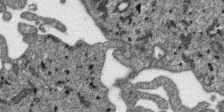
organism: Human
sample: Lung epithelial cells infected with SARS-CoV-2